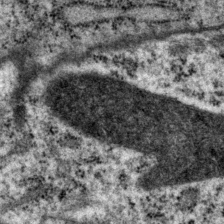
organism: P. pacificus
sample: Pharynx